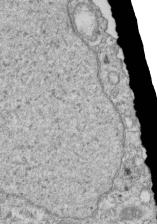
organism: Human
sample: HeLa cell HIV synapse